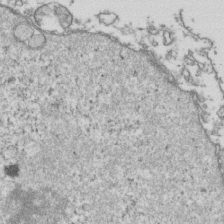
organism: Human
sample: Activated Jurkat CD4+ T cells